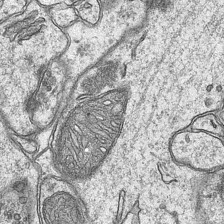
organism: Mouse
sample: CA1 Hippocampus